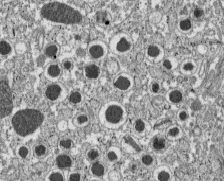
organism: C57BL Mouse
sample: Pancreatic islet